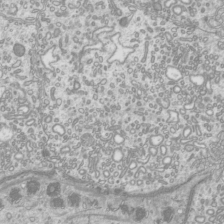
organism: Mouse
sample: Cilia; mouse epididymis